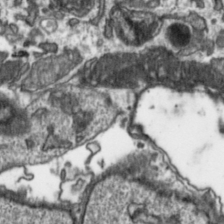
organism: Toxoplasma gondii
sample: Parasites in a vacuole inside a host cell